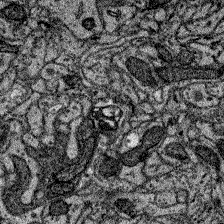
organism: Zebrafish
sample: Larval olfactory bulb